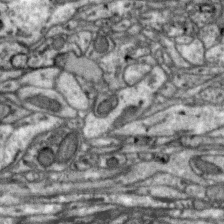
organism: Zebra finch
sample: Brain